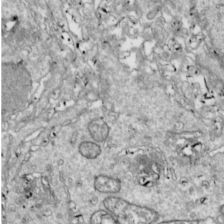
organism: Drosophila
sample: Cell division; meiosis; drosophila spermatocytes